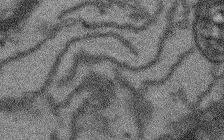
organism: Arabidopsis thaliana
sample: Root tip